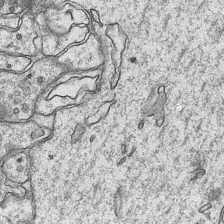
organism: Mouse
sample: CA1 Hippocampus